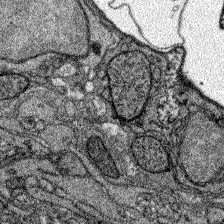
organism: Zebrafish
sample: Larval olfactory bulb